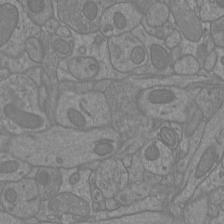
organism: Mouse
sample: Cortical neurons